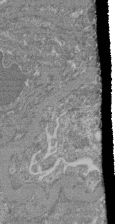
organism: Mouse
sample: Glomerulus